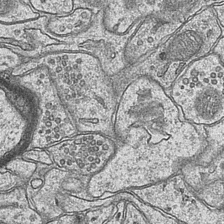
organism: Mouse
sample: CA1 Hippocampus